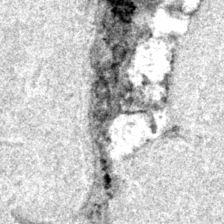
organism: Murine (Unspecified Species)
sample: Bone